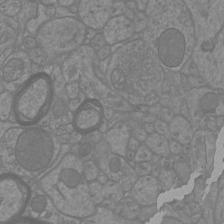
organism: Mouse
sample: Cortical neurons